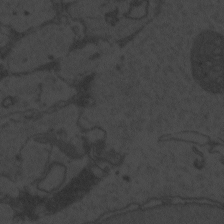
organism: Zebrafish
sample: Macrophage infected with Toxoplasma gondii